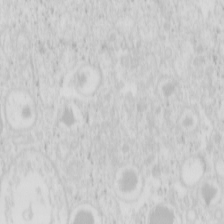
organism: Mouse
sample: Pancreas